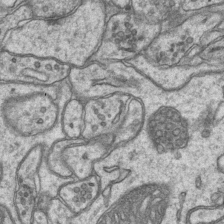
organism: Mouse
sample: CA1 Hippocampus